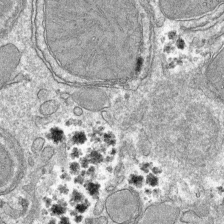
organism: Mouse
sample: Mouse hepatocytes